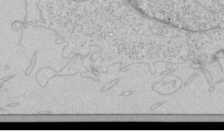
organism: Human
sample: Mitochondria in HCT116 cells